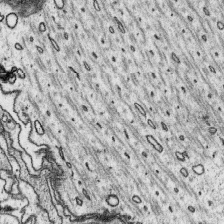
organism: Platynereis dumerilii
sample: Parapodia